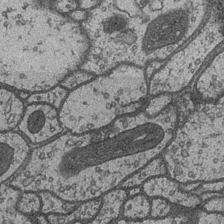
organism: Drosophila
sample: Optic medulla